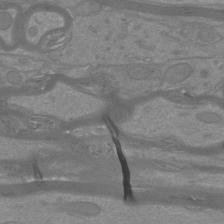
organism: Mouse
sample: Cortical neurons